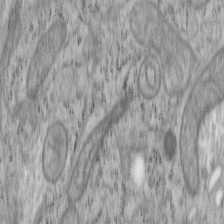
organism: Human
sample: HeLa cells